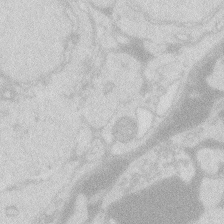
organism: Zebrafish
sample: Macrophage